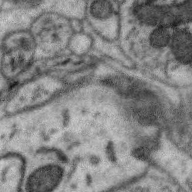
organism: Zebra finch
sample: Brain